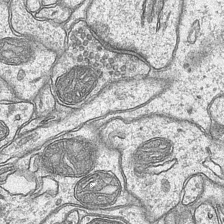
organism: Mouse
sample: CA1 Hippocampus